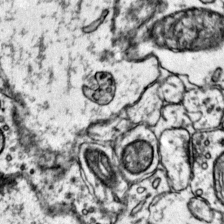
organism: Mouse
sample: Primary visual cortex